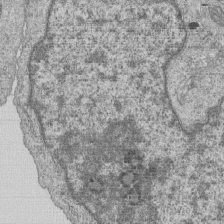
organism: Human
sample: MDA-MB-231 cells